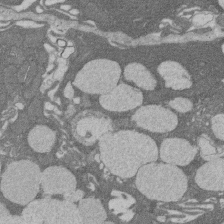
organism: Rat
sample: Salivary granule